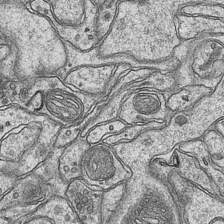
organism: Mouse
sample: CA1 Hippocampus